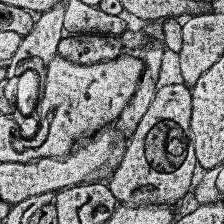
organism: Human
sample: Temporal Lobe